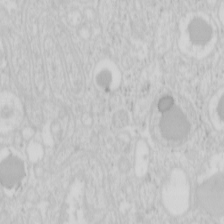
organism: Mouse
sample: Pancreas